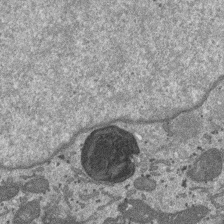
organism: Human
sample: Lung epithelial cells infected with SARS-CoV-2